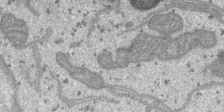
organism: Human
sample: Lung epithelial cells infected with SARS-CoV-2